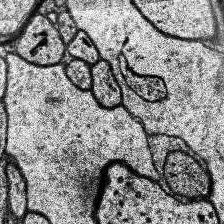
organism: Human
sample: Temporal Lobe